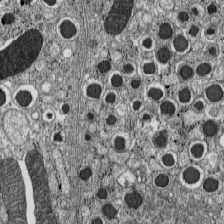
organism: C57BL Mouse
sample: Pancreatic islet